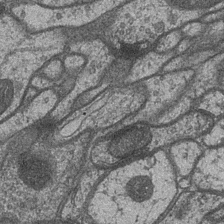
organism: Drosophila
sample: Optic medulla